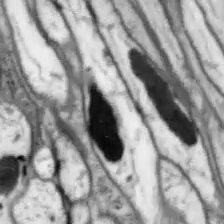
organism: Drosophila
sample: Optic lobe